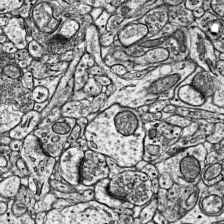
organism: Mouse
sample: Visual Cortex